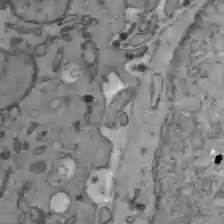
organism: C57BL Mouse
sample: Liver